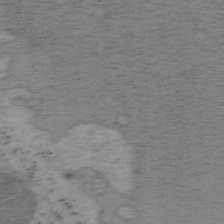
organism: Mouse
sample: OT-I killer T cells with ID8 ovarian cancer cells